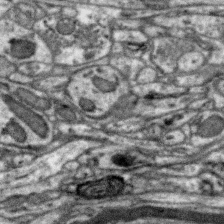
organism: Zebra finch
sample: Brain